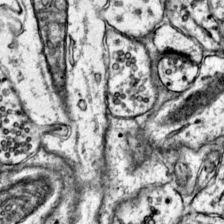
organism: Mouse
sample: Primary visual cortex